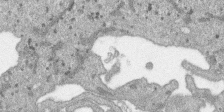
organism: Human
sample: Lung epithelial cells infected with SARS-CoV-2